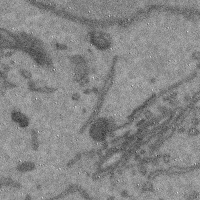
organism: Mouse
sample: Cerebral cortex